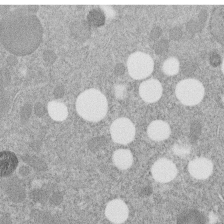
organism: C. elegans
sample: C. elegans embryo early stage